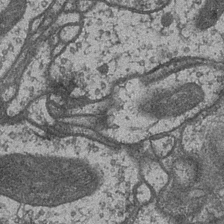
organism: Drosophila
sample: Optic medulla